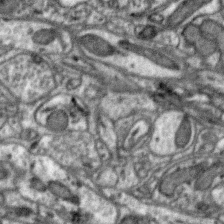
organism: Zebra finch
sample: Brain